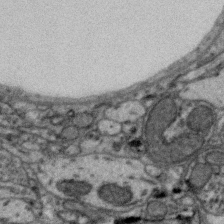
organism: Zebra finch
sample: Brain